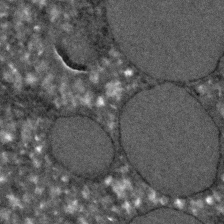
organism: C. elegans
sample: C. elegans embryo